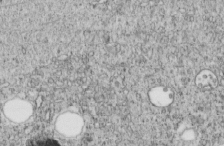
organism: C. elegans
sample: C. elegans embryo early stage